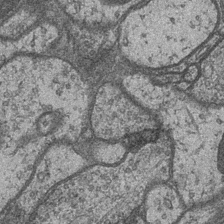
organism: Drosophila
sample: Optic medulla